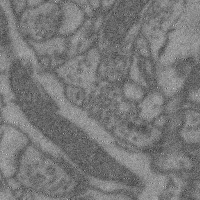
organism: Mouse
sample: Cerebral cortex